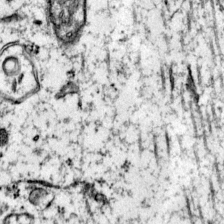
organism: Mouse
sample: Primary visual cortex